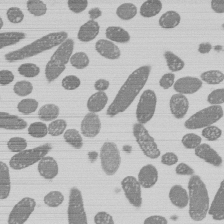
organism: E. coli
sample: Bacterial nucleoid